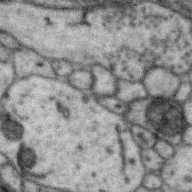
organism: Zebra finch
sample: Brain